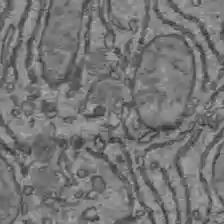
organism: C57BL Mouse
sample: Liver